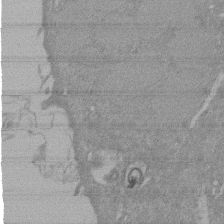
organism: Mouse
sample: ED-1 cell nuclei; centrioles